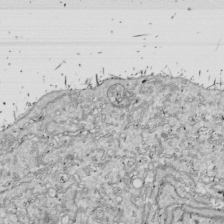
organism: Drosophila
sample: Cell division; meiosis; drosophila spermatocytes